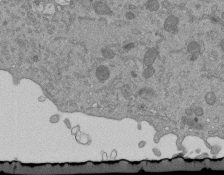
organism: Mouse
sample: ED-1 cell nuclei; centrioles